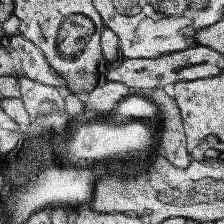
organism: Human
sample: Temporal Lobe